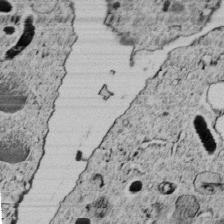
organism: C. elegans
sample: C. elegans embryo early stage